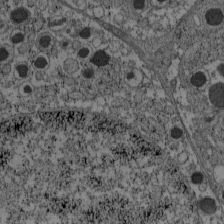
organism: C57BL Mouse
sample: Pancreatic islet